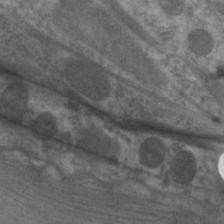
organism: C. elegans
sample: Pharynx